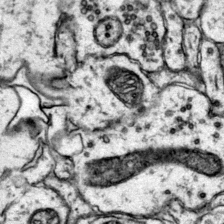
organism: Mouse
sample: Primary visual cortex